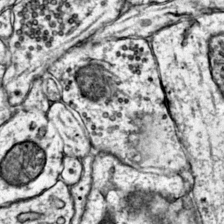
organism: Mouse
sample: Primary visual cortex